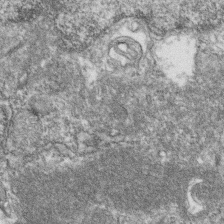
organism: Zebrafish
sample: Cilia; retinal pigment epithelium